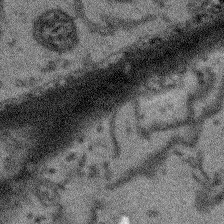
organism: Arabidopsis thaliana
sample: Root tip